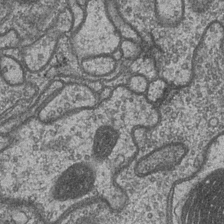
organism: Drosophila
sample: Optic medulla